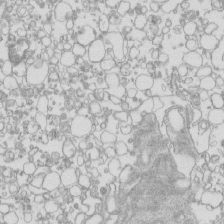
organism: Mouse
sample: Macrophages